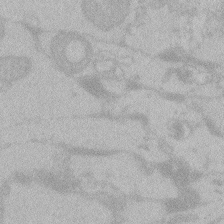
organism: Zebrafish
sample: Macrophage infected with Toxoplasma gondii